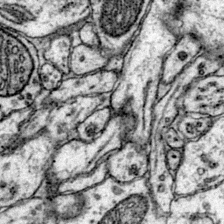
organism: Mouse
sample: Primary visual cortex